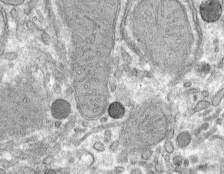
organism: Mouse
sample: Mouse hepatocytes